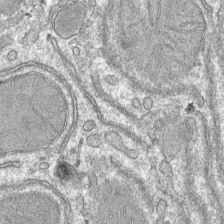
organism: Mouse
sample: Mouse hepatocytes